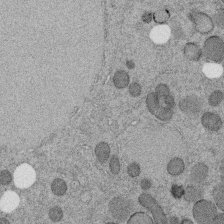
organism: C. elegans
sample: C. elegans embryo early stage